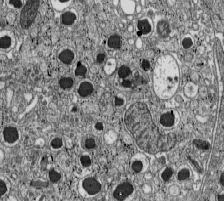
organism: C57BL Mouse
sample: Pancreatic islet